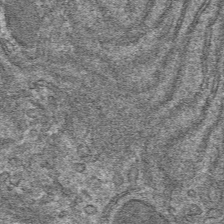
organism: Mouse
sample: Mouse hepatocytes